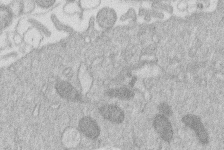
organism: Human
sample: Macrophage cells